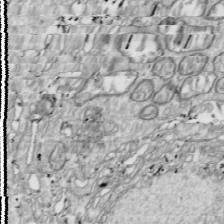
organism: Drosophila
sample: Cell division; meiosis; drosophila spermatocytes